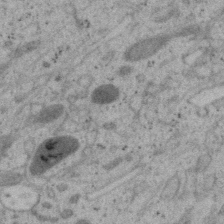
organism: Human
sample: HeLa cells